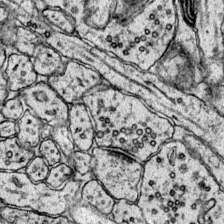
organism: Mouse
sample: Primary visual cortex